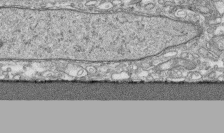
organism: Human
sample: CRL-1474